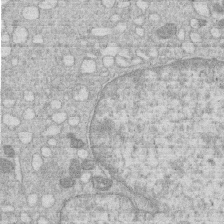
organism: Human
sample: Macrophage cells